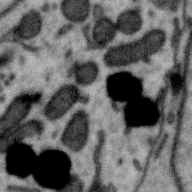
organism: Zebra finch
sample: Brain